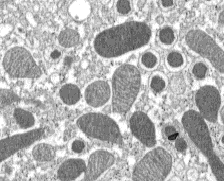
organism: C57BL Mouse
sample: Pancreatic islet